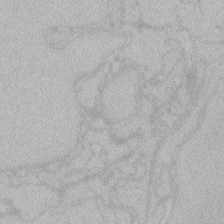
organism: Zebrafish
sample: Macrophage infected with Toxoplasma gondii